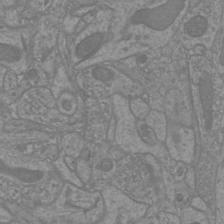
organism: Mouse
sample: Cortical neurons